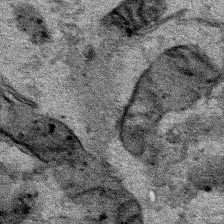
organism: Human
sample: Mitochondria in HCT116 cells